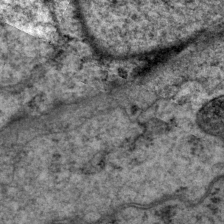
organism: P. pacificus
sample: Pharynx